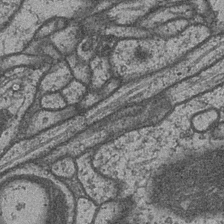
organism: Drosophila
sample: Optic medulla